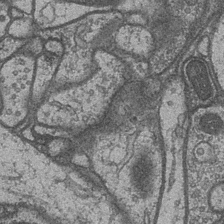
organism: Drosophila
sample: Optic medulla